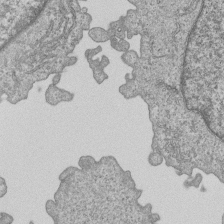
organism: Human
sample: MDA-MB-231 cells